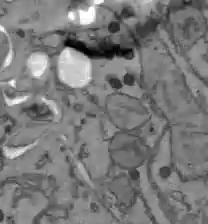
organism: C57BL Mouse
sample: Liver